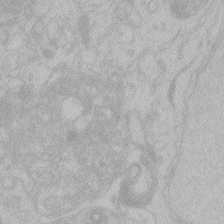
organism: Zebrafish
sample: Macrophage infected with Toxoplasma gondii